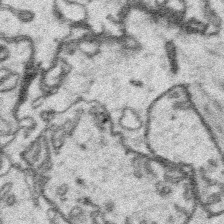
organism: Platynereis dumerilii